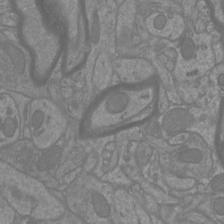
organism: Mouse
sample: Cortical neurons